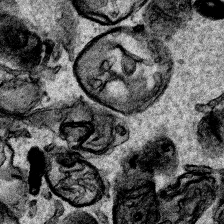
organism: Human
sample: Mitochondria in HCT116 cells